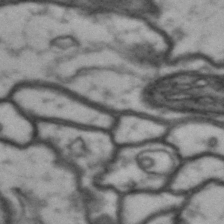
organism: Drosophila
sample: Brain